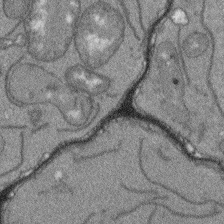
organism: Arabidopsis thaliana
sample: Root tip